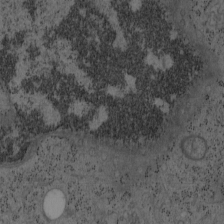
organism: Mouse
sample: OT-I killer T cells with ID8 ovarian cancer cells